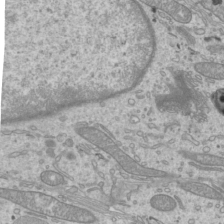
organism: Mouse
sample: Cilia; mouse epididymis